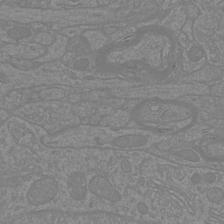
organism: Mouse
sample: Cortical neurons